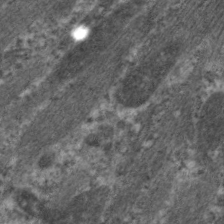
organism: C. elegans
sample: Pharynx